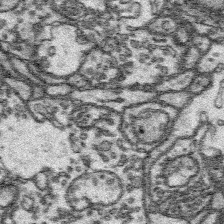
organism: Platynereis dumerilii